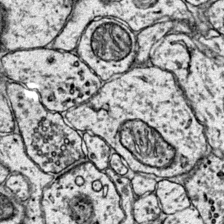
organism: Mouse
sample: Primary visual cortex